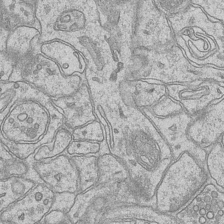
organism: Mouse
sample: CA1 Hippocampus